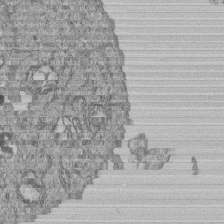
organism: Human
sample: MDA-MB-231 cells